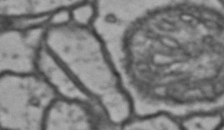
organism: Drosophila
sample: Brain